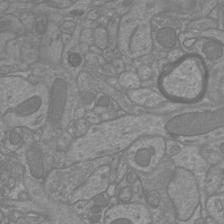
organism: Mouse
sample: Cortical neurons